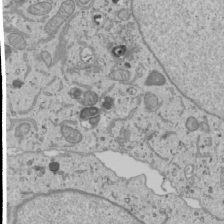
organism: Human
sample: Mitochondria in U2OS cells